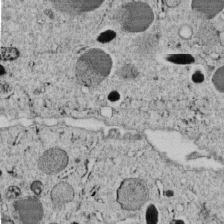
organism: C. elegans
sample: C. elegans embryo early stage